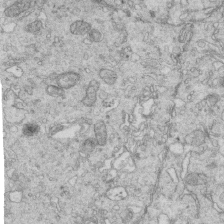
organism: Mouse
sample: Multiciliated cells